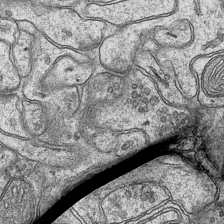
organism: Mouse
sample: CA1 Hippocampus